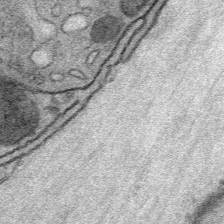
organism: Mouse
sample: Mouse Salivary gland